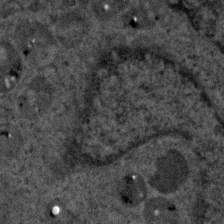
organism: Human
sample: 1205lu cells